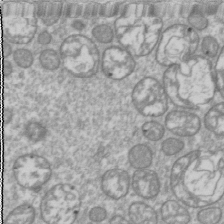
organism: Drosophila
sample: Cell division; meiosis; drosophila spermatocytes